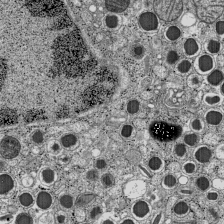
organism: C57BL Mouse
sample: Pancreatic islet